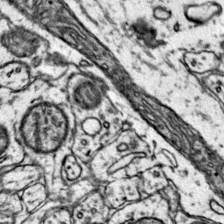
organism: Mouse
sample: Primary visual cortex